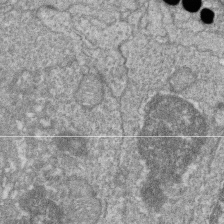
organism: Zebrafish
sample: Cilia; retinal pigment epithelium